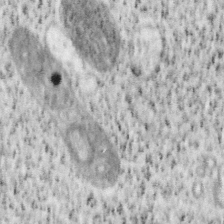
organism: Mouse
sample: OT-I killer T cells with ID8 ovarian cancer cells